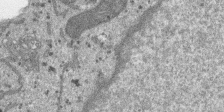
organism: Human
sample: Lung epithelial cells infected with SARS-CoV-2